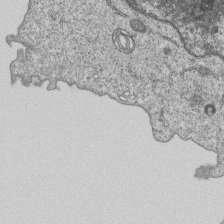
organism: Human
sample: MDA-MB-231 cells